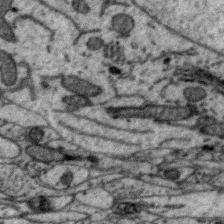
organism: Zebra finch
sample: Brain